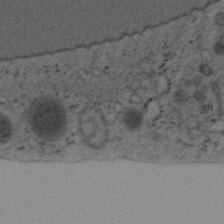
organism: Human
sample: HeLa cells